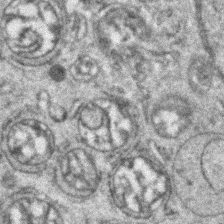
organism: Zebrafish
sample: Zebrafish embryo